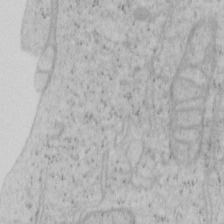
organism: Human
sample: HeLa cells